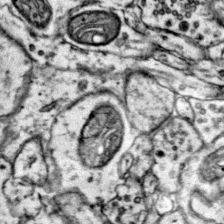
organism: Mouse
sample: Primary visual cortex